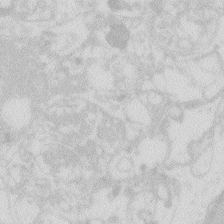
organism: Zebrafish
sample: Macrophage